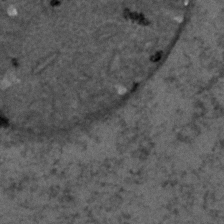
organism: C. elegans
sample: C. elegans embryo